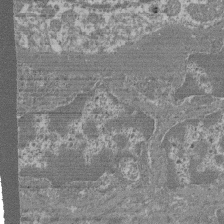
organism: Mouse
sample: Glomerulus